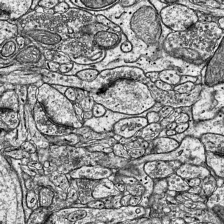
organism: Mouse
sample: Visual Cortex